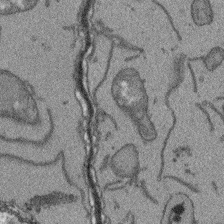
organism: Arabidopsis thaliana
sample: Root tip